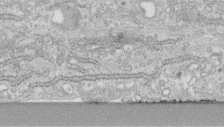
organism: Human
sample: Centriole in fibroblast cells